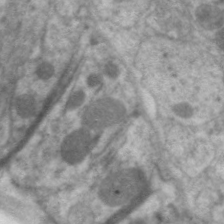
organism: C. elegans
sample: Pharynx